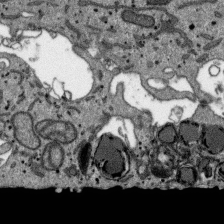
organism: Human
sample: Lung epithelial cells, uninfected (mock) control